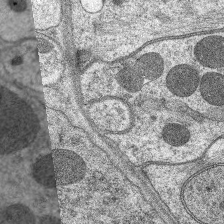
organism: C. elegans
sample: Pharynx